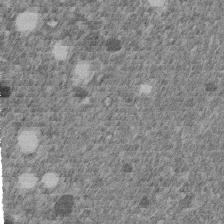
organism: C. elegans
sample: C. elegans embryo early stage